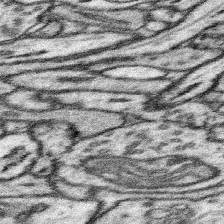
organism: Mouse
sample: Somatosensory cortex neuropil